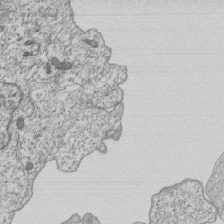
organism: Human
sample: MDA-MB-231 cells